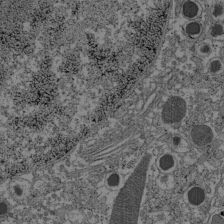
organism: C57BL Mouse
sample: Pancreatic islet